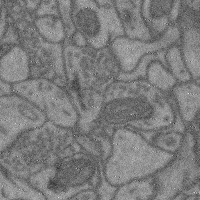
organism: Mouse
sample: Cerebral cortex